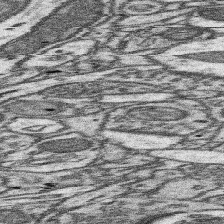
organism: Mouse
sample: Somatosensory cortex neuropil